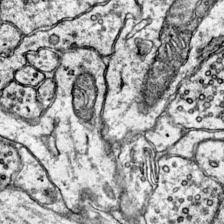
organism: Mouse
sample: Primary visual cortex